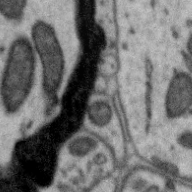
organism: Zebra finch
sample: Brain